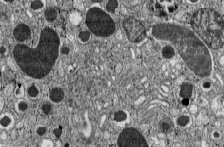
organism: C57BL Mouse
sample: Pancreatic islet